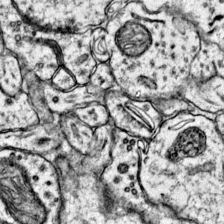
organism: Mouse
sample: Primary visual cortex